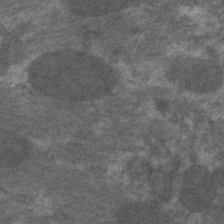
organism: C. elegans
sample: Pharynx